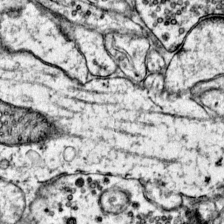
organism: Mouse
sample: Primary visual cortex